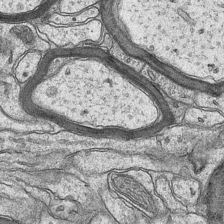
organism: Mouse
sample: CA1 Hippocampus